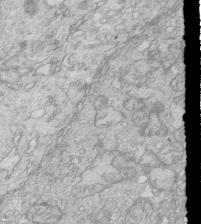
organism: Mouse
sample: Multiciliated cells